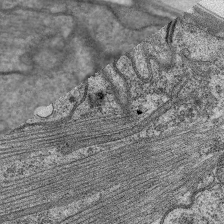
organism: C. elegans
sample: Pharynx